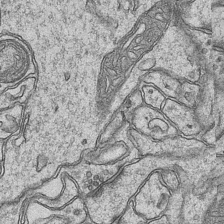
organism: Mouse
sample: CA1 Hippocampus